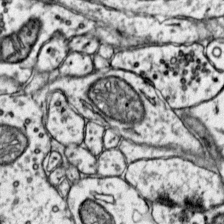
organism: Mouse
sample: Primary visual cortex